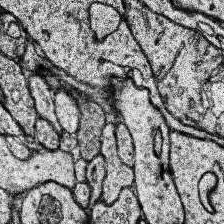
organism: Human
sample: Temporal Lobe